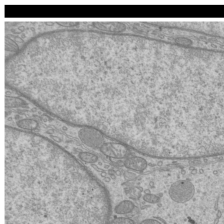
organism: Mouse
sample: Cilia; mouse epididymis